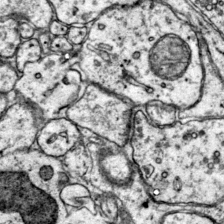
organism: Mouse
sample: Primary visual cortex